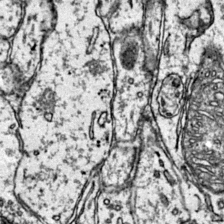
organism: Mouse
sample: Primary visual cortex